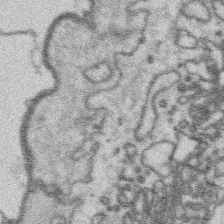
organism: Platynereis dumerilii